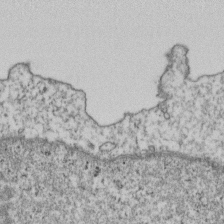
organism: Human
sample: Activated Jurkat CD4+ T cells